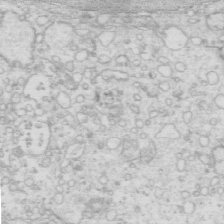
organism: Mouse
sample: Multiciliated cells